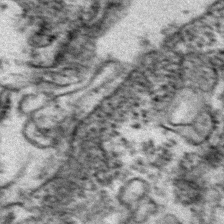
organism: Zebrafish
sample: Zebrafish embryo